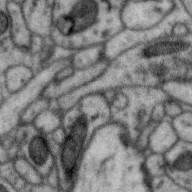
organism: Zebra finch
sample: Brain